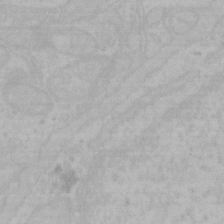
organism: Mouse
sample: Choroid plexus